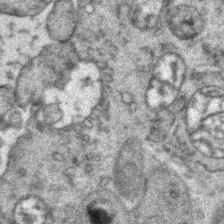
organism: Zebrafish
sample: Zebrafish embryo